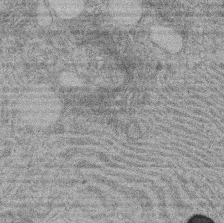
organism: Rat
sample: Salivary granule